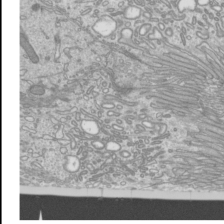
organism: Mouse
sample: Cilia; mouse epididymis